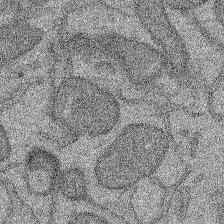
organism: Human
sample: HeLa cells